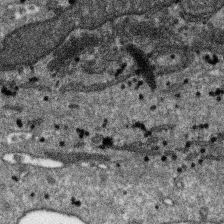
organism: Human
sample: Lung epithelial cells infected with SARS-CoV-2